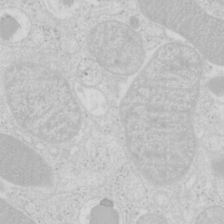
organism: Mouse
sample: Pancreas